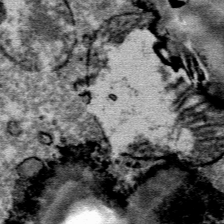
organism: Mouse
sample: Mouse Salivary gland